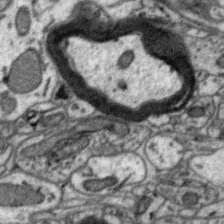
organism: Zebra finch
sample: Brain